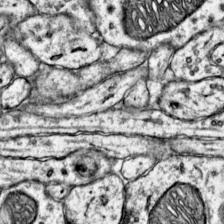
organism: Mouse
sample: Primary visual cortex